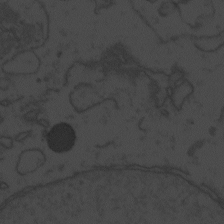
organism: Zebrafish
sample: Macrophage infected with Toxoplasma gondii